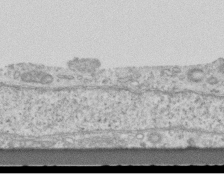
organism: Mouse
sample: Centriole in ependymal cells